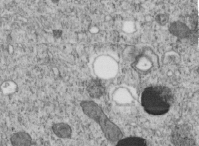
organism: C. elegans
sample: C. elegans embryo early stage